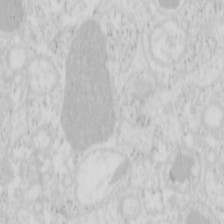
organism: Mouse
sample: Pancreas